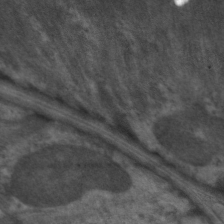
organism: C. elegans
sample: Pharynx